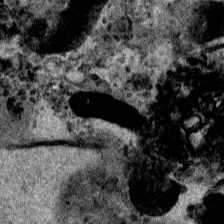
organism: Human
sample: Mitochondria in HCT116 cells